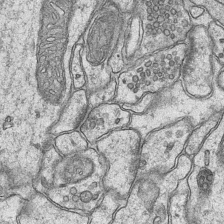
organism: Mouse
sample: CA1 Hippocampus